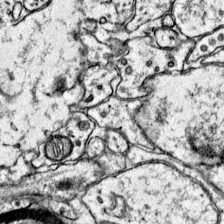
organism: Mouse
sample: Primary visual cortex